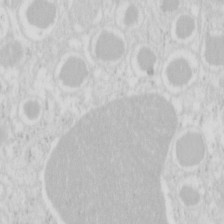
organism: Mouse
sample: Pancreas